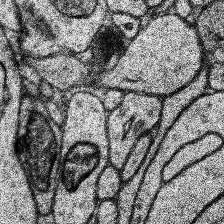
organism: Human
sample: Temporal Lobe